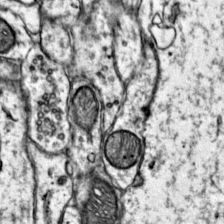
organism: Mouse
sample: Primary visual cortex